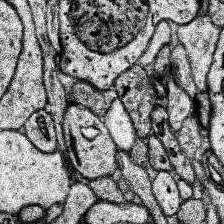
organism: Human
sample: Temporal Lobe